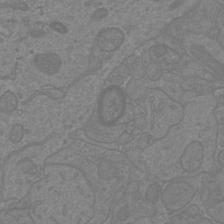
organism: Mouse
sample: Cortical neurons